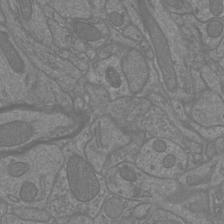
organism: Mouse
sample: Cortical neurons